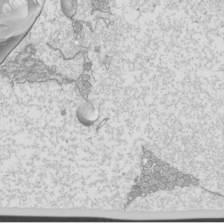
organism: Mouse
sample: Cilia; mouse epididymis